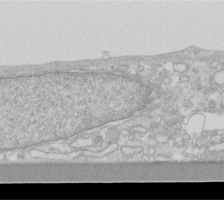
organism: Human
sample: Fibroblast cells